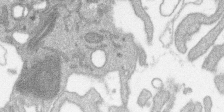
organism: Human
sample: Lung epithelial cells infected with SARS-CoV-2